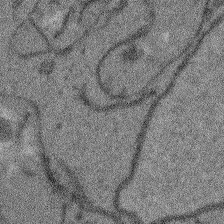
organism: Arabidopsis thaliana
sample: Root tip